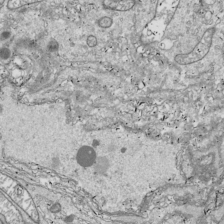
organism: Drosophila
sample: Cell division; meiosis; drosophila spermatocytes